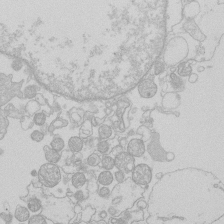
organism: Human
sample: Macrophage cells